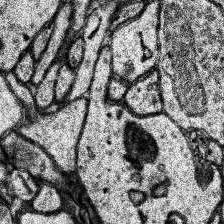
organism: Human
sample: Temporal Lobe